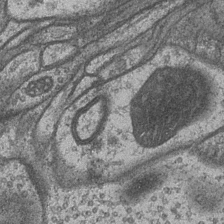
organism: Drosophila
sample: Optic medulla